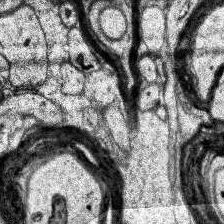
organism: Human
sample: Temporal Lobe